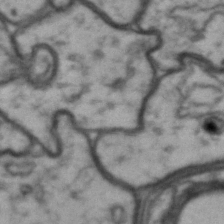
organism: Drosophila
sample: Brain